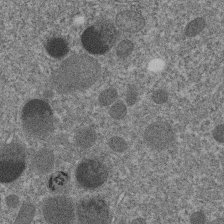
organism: C. elegans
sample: C. elegans embryo early stage